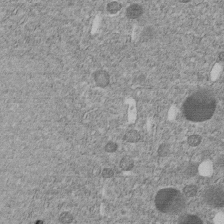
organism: C. elegans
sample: C. elegans embryo early stage